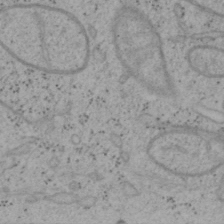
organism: Human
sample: HeLa cells